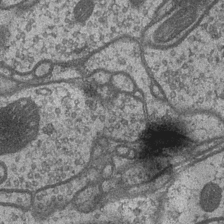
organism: Drosophila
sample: Optic medulla